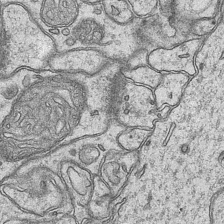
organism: Mouse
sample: CA1 Hippocampus